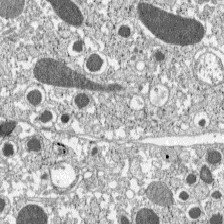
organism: C57BL Mouse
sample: Pancreatic islet